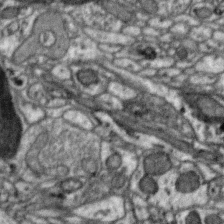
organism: Zebra finch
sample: Brain